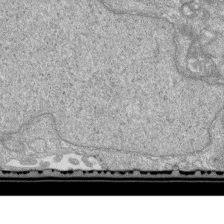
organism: Human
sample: HeLa cell HIV synapse